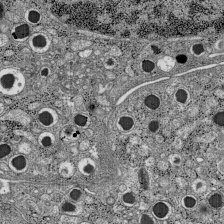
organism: C57BL Mouse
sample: Pancreatic islet